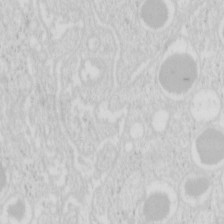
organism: Mouse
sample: Pancreas